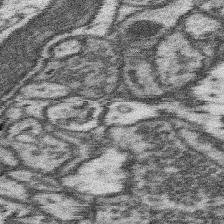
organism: Mouse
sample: Somatosensory cortex neuropil